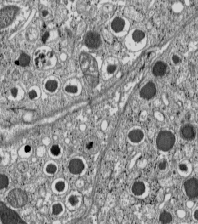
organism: C57BL Mouse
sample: Pancreatic islet